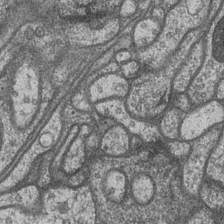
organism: Drosophila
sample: Optic medulla